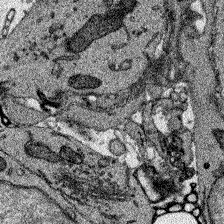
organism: Zebrafish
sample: Larval olfactory bulb